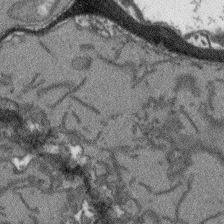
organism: Arabidopsis thaliana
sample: Root tip